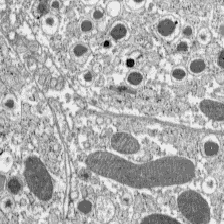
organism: C57BL Mouse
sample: Pancreatic islet